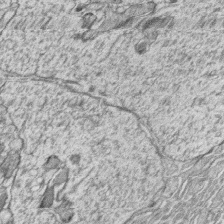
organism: Zebrafish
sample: synaptic ribbons in rod cells and cone cells